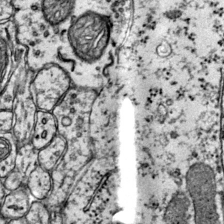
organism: Mouse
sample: Primary visual cortex